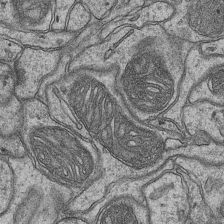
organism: Mouse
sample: CA1 Hippocampus